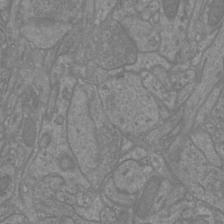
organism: Mouse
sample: Cortical neurons